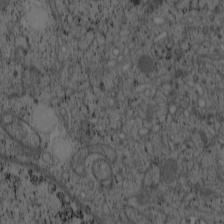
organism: African green monkey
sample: COS-7 cells